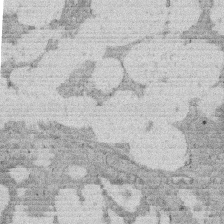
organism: Rat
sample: Salivary granule